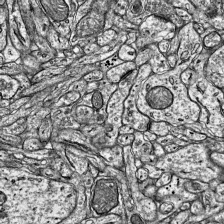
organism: Mouse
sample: Visual Cortex